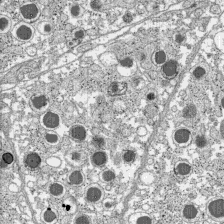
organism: C57BL Mouse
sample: Pancreatic islet